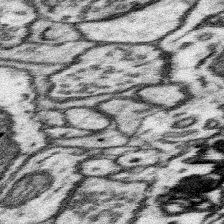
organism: Mouse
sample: Somatosensory cortex neuropil